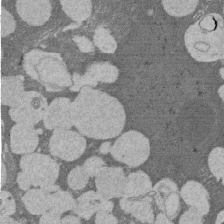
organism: Rat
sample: Salivary granule